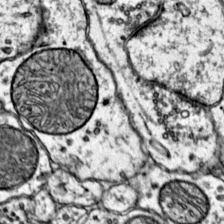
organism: Mouse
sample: Primary visual cortex